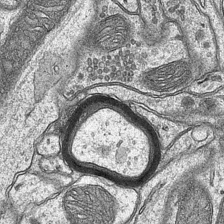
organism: Mouse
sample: CA1 Hippocampus